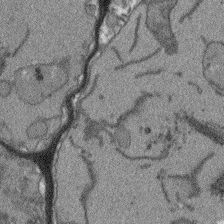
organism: Arabidopsis thaliana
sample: Root tip